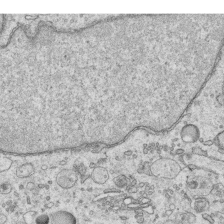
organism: Human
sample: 1205lu cells